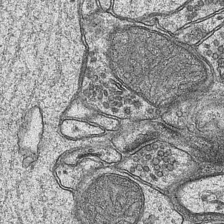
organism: Mouse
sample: CA1 Hippocampus